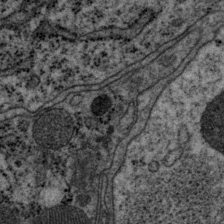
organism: P. pacificus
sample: Pharynx